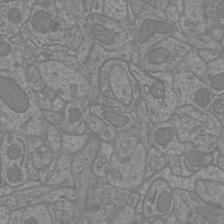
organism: Mouse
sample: Cortical neurons